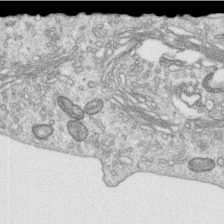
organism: Human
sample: Centriole in RPE cells